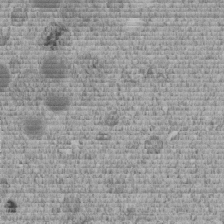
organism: C. elegans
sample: C. elegans embryo early stage